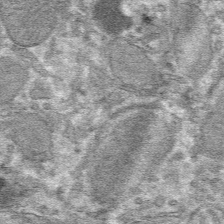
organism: Mouse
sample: Mouse hepatocytes